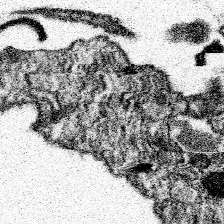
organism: Spongilla lacustris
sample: Neuroid cell